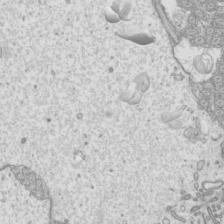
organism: Mouse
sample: Cilia; mouse epididymis